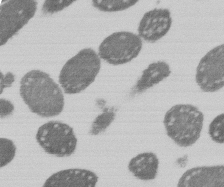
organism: E. coli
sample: Bacterial nucleoid